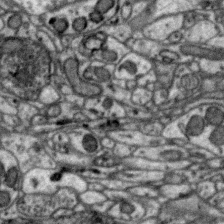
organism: Zebra finch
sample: Brain